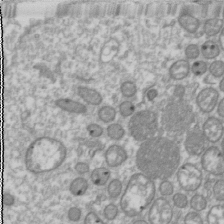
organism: Drosophila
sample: Cell division; meiosis; drosophila spermatocytes